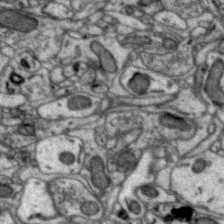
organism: Zebra finch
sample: Brain